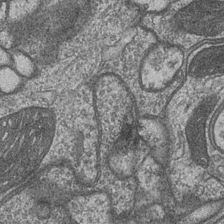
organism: Drosophila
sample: Optic medulla